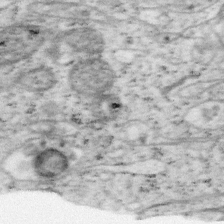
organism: Mouse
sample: OT-I killer T cells with ID8 ovarian cancer cells